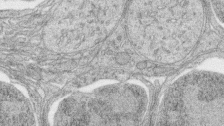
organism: Zebrafish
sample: synaptic ribbons in rod cells and cone cells